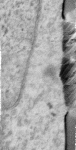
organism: Human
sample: Centriole in RPE cells